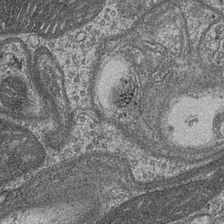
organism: Drosophila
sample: Optic medulla